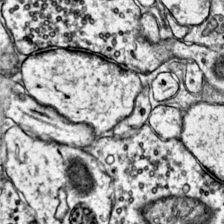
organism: Mouse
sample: Primary visual cortex